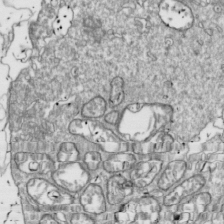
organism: Drosophila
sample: Cell division; meiosis; drosophila spermatocytes